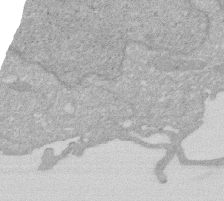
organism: Human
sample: HIV infected U937 cells